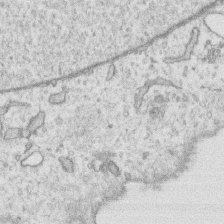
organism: Human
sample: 1205lu cells